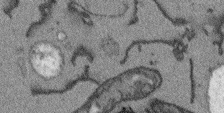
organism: Arabidopsis thaliana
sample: Root tip